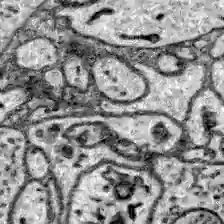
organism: Zebrafish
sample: Brain